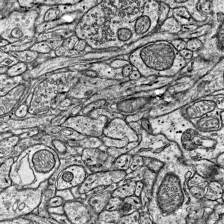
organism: Mouse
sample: Visual Cortex